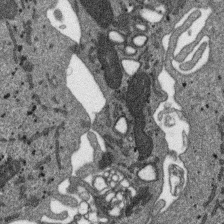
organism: Human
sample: Lung epithelial cells infected with SARS-CoV-2